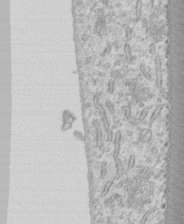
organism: Human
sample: CRL-1474